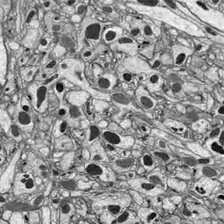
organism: Drosophila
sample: Optic lobe